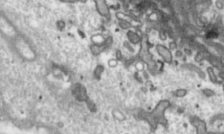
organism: Toxoplasma gondii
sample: Parasites in a vacuole inside a host cell